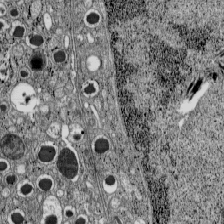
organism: C57BL Mouse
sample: Pancreatic islet